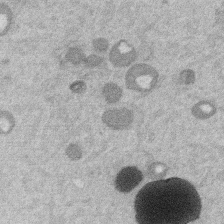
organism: Mouse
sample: Dividing mouse embryo 1 cell stage